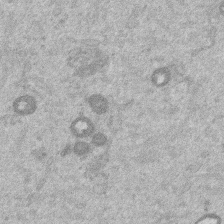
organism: Mouse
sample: Dividing mouse embryo 1 cell stage